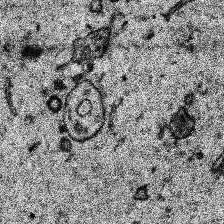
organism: Human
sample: Temporal Lobe